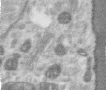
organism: Human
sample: Centriole in RPE cells